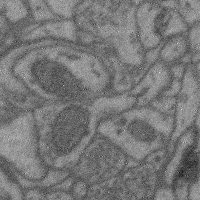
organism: Mouse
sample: Cerebral cortex